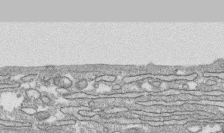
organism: Human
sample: CRL-1474